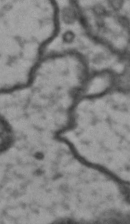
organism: Drosophila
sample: Brain